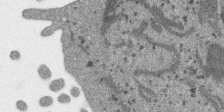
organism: Human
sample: Lung epithelial cells infected with SARS-CoV-2